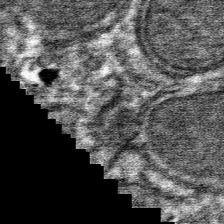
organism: Mouse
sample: Mouse hepatocytes